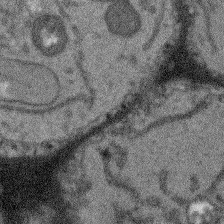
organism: Arabidopsis thaliana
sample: Root tip